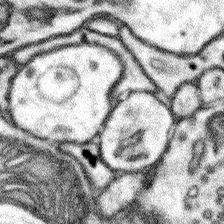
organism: Mouse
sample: Somatosensory cortex neuropil